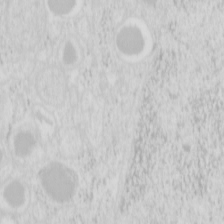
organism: Mouse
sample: Pancreas